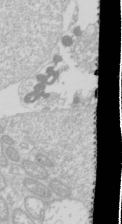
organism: Drosophila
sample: Cell division; meiosis; drosophila spermatocytes